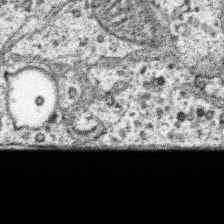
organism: Human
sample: HeLa cells